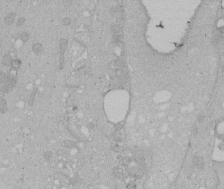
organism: Human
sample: Melanocyte Keratinocyte synapse skin construct